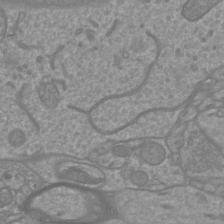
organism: Mouse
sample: Cortical neurons